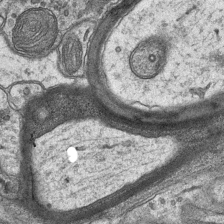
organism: Mouse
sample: CA1 Hippocampus